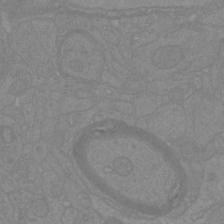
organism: Mouse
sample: Cortical neurons